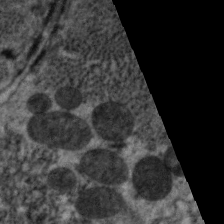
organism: C. elegans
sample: Pharynx